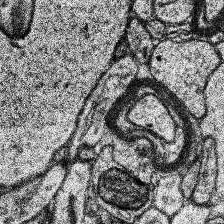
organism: Human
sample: Temporal Lobe